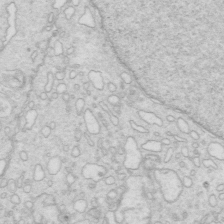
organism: Mouse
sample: Multiciliated cells